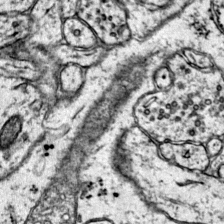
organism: Mouse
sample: Primary visual cortex